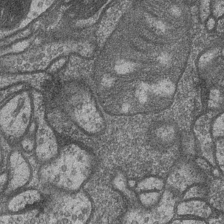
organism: Drosophila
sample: Optic medulla